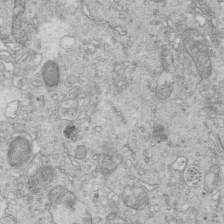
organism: Mouse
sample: Multiciliated cells